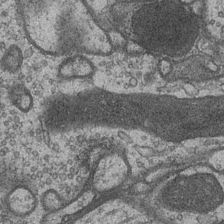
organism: Drosophila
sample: Optic medulla